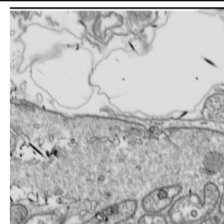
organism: Drosophila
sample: Cell division; meiosis; drosophila spermatocytes